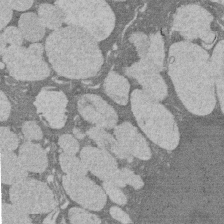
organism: Rat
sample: Salivary granule